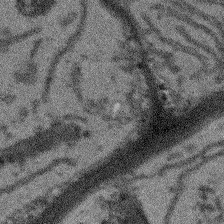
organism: Arabidopsis thaliana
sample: Root tip